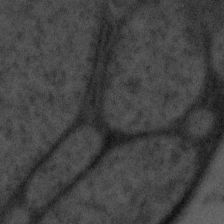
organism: Tuwongella immobilis